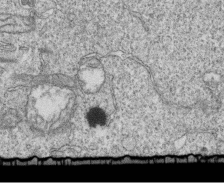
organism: Human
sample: HeLa cell HIV synapse